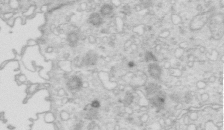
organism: Mouse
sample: Multiciliated cells